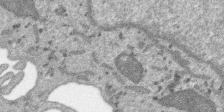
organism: Human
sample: Lung epithelial cells infected with SARS-CoV-2